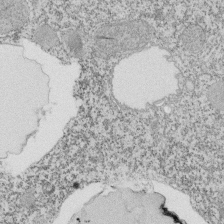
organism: Tetrahymena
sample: Cilia in tetrahymena